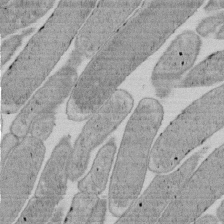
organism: E. coli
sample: Bacterial nucleoid